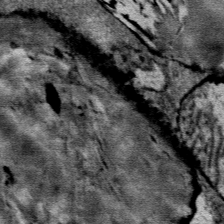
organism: Mouse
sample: Mouse Salivary gland